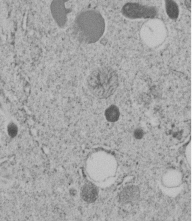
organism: C. elegans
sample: C. elegans embryo early stage